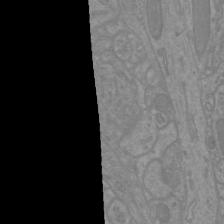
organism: Mouse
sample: Cortical neurons